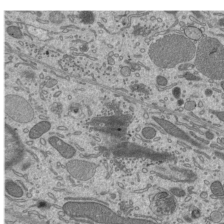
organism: Mouse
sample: Mouse epididymis efferent ductule cilia